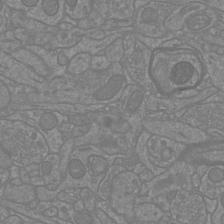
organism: Mouse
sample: Cortical neurons